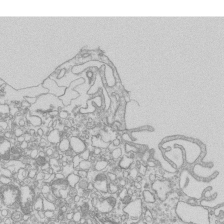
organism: Mouse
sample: Macrophages